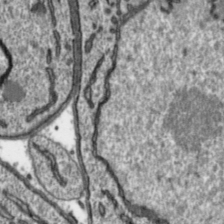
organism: Toxoplasma gondii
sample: Parasites in a vacuole inside a host cell